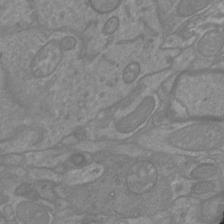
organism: Mouse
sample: Cortical neurons